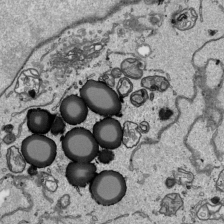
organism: Human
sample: Mitochondria in HCT116 cells